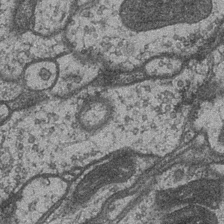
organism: Drosophila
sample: Optic medulla